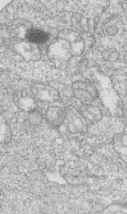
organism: Human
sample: HeLa cell HIV synapse